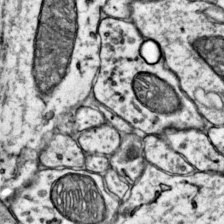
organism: Mouse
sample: Primary visual cortex